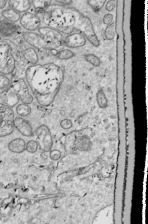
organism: Drosophila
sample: Cell division; meiosis; drosophila spermatocytes